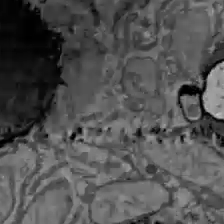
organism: C57BL Mouse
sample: Liver